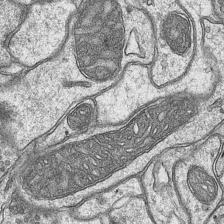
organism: Mouse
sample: CA1 Hippocampus